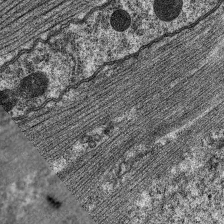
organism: C. elegans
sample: Pharynx